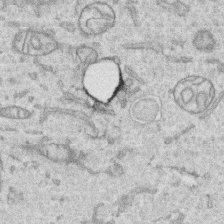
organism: Human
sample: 1205lu cells